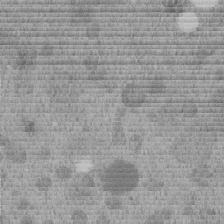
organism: C. elegans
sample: C. elegans embryo early stage